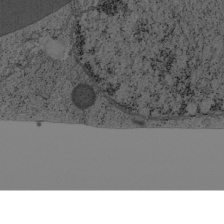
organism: African green monkey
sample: COS-7 cells